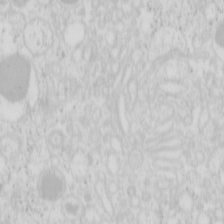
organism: Mouse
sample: Pancreas